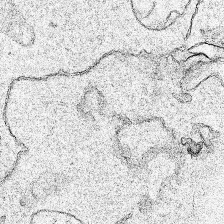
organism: Human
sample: Mitochondria in HCT116 cells